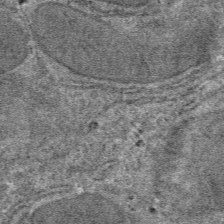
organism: Mouse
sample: Mouse hepatocytes